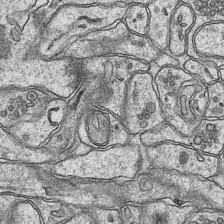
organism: Mouse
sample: CA1 Hippocampus